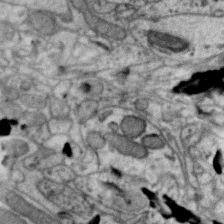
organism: Zebra finch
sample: Brain